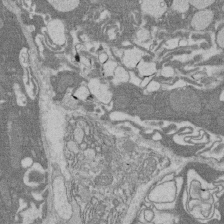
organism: Rat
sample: Salivary granule